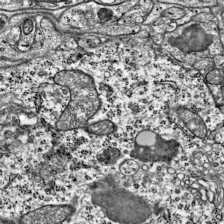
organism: Mouse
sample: Visual Cortex